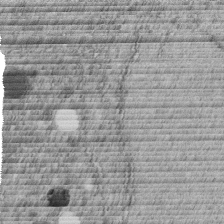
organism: C. elegans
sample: C. elegans embryo early stage